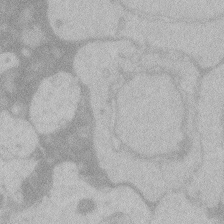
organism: Zebrafish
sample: Macrophage infected with Toxoplasma gondii